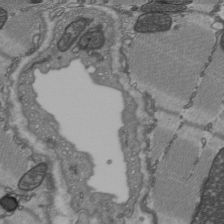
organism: C57BL Mouse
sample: Heart